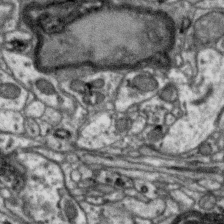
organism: Zebra finch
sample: Brain